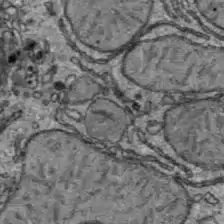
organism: C57BL Mouse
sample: Liver